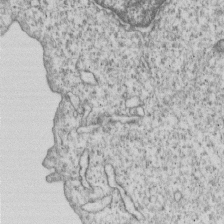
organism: Human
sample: MDA-MB-231 cells